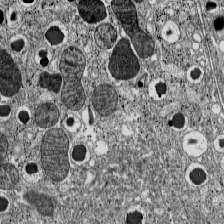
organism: C57BL Mouse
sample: Pancreatic islet